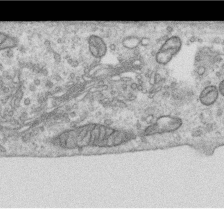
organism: Human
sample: Centriole in RPE cells